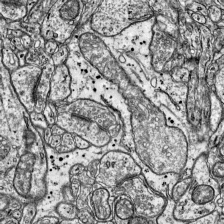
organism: Mouse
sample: Visual Cortex